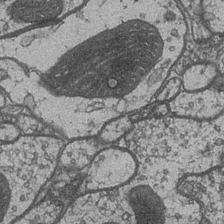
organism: Drosophila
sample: Optic medulla